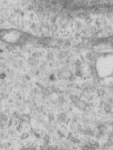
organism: Human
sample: Centriole in RPE cells